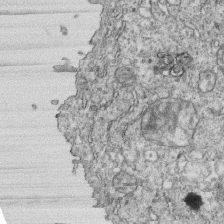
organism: Human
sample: HeLa cell HIV synapse